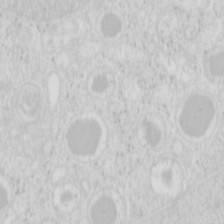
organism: Mouse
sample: Pancreas